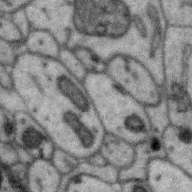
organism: Zebra finch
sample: Brain